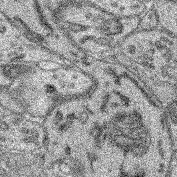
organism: Mouse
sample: Retina